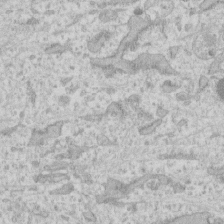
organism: Human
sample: Fibroblast cells